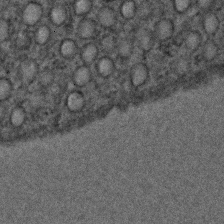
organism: C. elegans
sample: C. elegans embryo